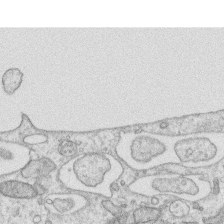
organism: Human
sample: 1205lu cells